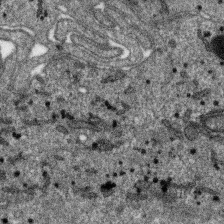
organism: Human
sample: Lung epithelial cells infected with SARS-CoV-2